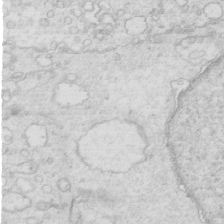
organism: Mouse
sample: Multiciliated cells